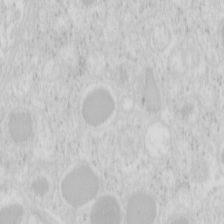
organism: Mouse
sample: Pancreas